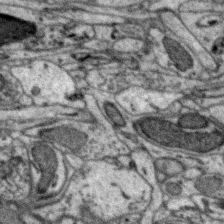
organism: Zebra finch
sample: Brain